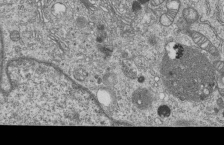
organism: Human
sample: MDA-MB-231 cells